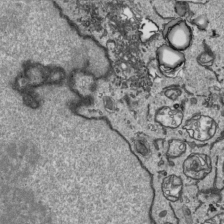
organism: Human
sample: Mitochondria in HCT116 cells